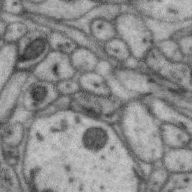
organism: Zebra finch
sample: Brain